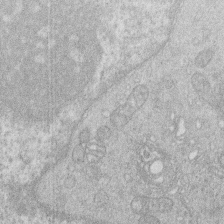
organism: Human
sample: Macrophage cells